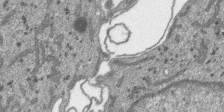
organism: Human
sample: Lung epithelial cells infected with SARS-CoV-2